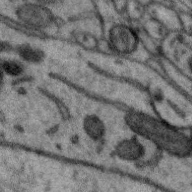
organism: Zebra finch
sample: Brain